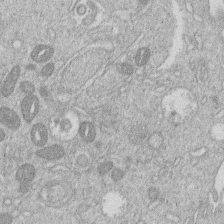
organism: Human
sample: Macrophage cells